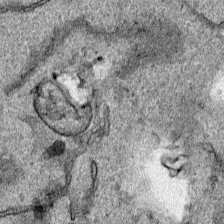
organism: Human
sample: Mitochondria in HCT116 cells